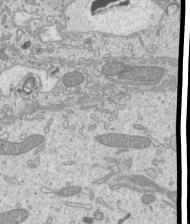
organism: Mouse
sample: Cilia; mouse epididymis